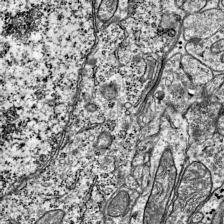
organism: Mouse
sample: Visual Cortex